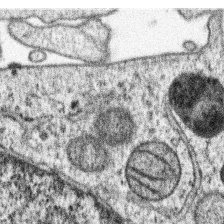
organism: Human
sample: HeLa cells